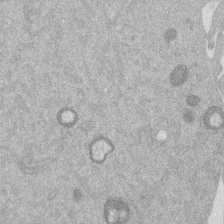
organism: Mouse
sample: Dividing mouse embryo 1 cell stage